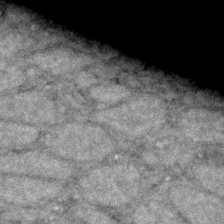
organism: Zebrafish